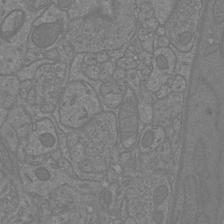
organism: Mouse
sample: Cortical neurons